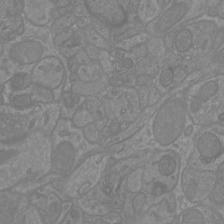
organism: Mouse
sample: Cortical neurons